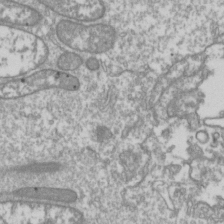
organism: Drosophila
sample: Cell division; meiosis; drosophila spermatocytes